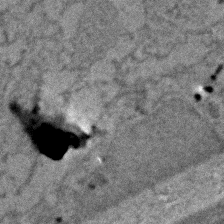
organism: Zebrafish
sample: Zebrafish embryo